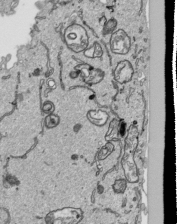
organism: Human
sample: Mitochondria in HCT116 cells